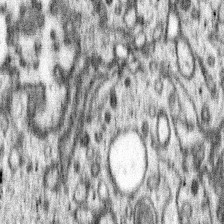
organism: Human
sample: HeLa cells